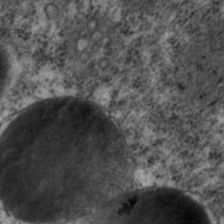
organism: C. elegans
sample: C. elegans embryo